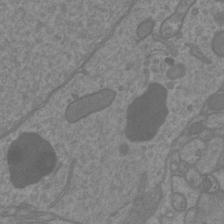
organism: Mouse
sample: Cortical neurons